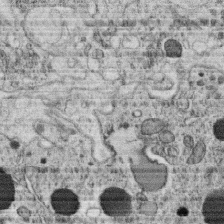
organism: C. elegans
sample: C. elegans oocyte; sperm cells